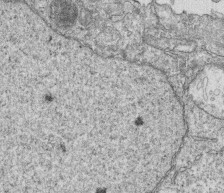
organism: Human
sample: HeLa cell HIV synapse